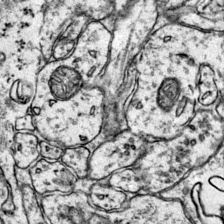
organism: Mouse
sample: Primary visual cortex